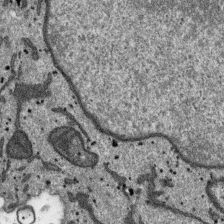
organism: Human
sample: Lung epithelial cells, uninfected (mock) control